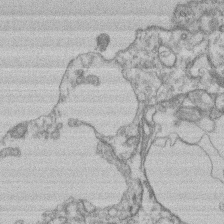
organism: Mouse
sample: T cell stromal cell synapse